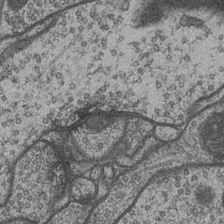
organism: Drosophila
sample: Optic medulla